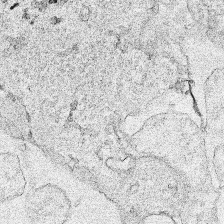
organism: Human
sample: Mitochondria in HCT116 cells